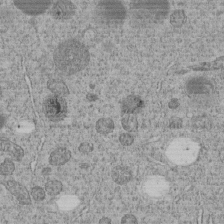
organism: C. elegans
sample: C. elegans embryo early stage